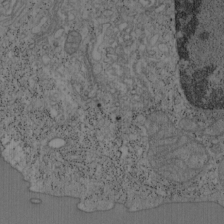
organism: Mouse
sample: OT-I killer T cells with ID8 ovarian cancer cells